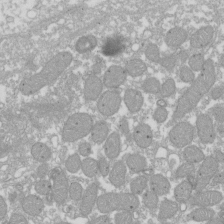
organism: Xenopus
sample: Cilia; centrioles in frog embryo cells